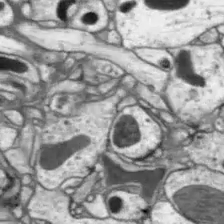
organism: Drosophila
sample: Optic lobe